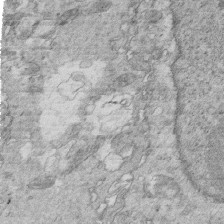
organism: Mouse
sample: Multiciliated cells